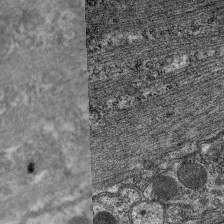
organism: C. elegans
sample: Pharynx